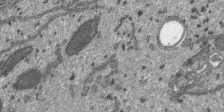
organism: Human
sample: Lung epithelial cells infected with SARS-CoV-2